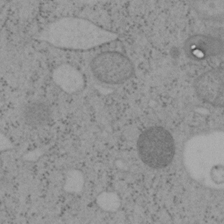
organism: Mouse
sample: OT-I killer T cells with ID8 ovarian cancer cells